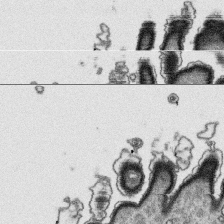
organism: Platynereis dumerilii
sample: Parapodia